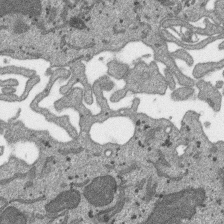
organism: Human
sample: Lung epithelial cells infected with SARS-CoV-2